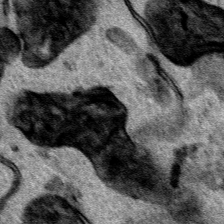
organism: Human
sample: Mitochondria in HCT116 cells